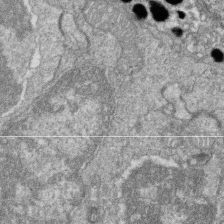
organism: Zebrafish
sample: Cilia; retinal pigment epithelium